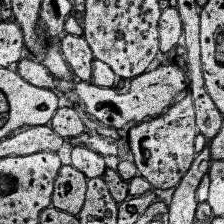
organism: Human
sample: Temporal Lobe